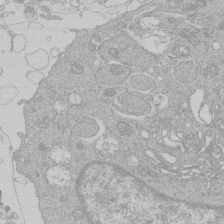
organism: Human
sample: Macrophage cells